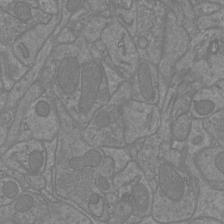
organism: Mouse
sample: Cortical neurons